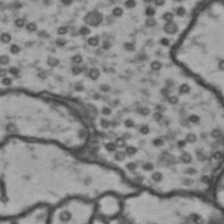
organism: Drosophila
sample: Brain